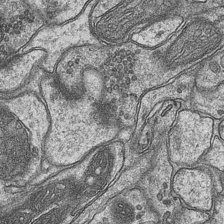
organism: Mouse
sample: CA1 Hippocampus